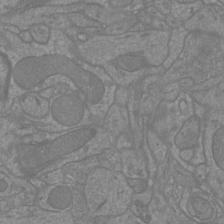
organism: Mouse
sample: Cortical neurons